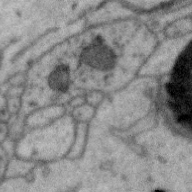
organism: Zebra finch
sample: Brain